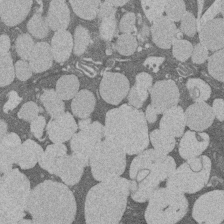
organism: Rat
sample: Salivary granule